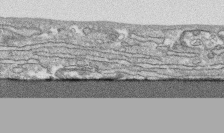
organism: Human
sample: CRL-1474